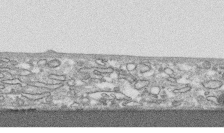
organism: Human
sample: CRL-1474